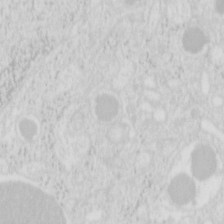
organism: Mouse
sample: Pancreas